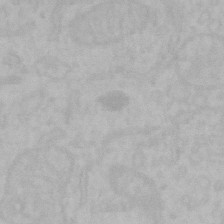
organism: Mouse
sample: Choroid plexus